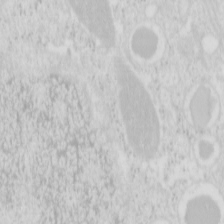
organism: Mouse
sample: Pancreas